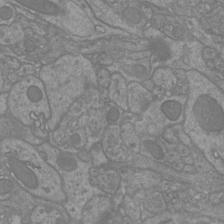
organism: Mouse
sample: Cortical neurons